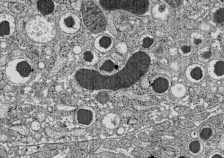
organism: C57BL Mouse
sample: Pancreatic islet